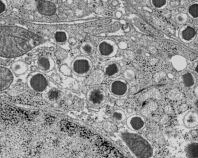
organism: C57BL Mouse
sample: Pancreatic islet